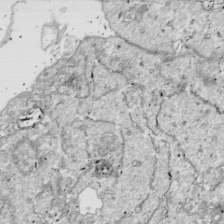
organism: Drosophila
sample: Cell division; meiosis; drosophila spermatocytes